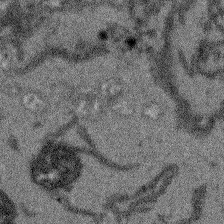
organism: Arabidopsis thaliana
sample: Root tip